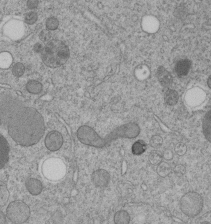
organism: C. elegans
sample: C. elegans embryo early stage